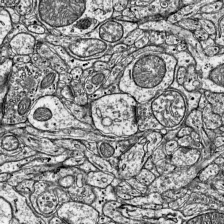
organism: Mouse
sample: Visual Cortex